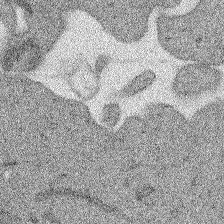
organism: Human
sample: HeLa cells